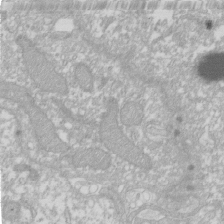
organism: Xenopus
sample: Cilia; centrioles in frog embryo cells